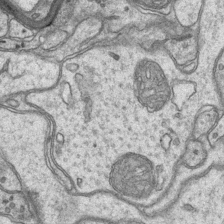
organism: Mouse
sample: CA1 Hippocampus